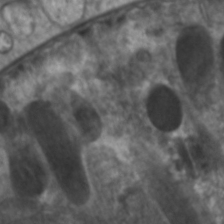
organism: C. elegans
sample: Pharynx